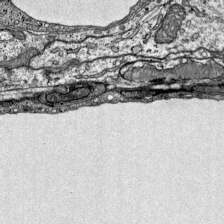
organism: Mouse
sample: Visual Cortex